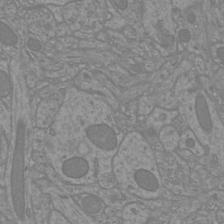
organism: Mouse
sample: Cortical neurons